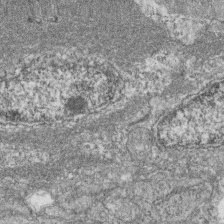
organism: Zebrafish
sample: Cilia; retinal pigment epithelium